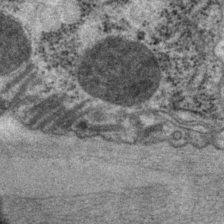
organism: P. pacificus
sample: Pharynx